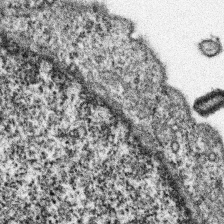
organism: Human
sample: HeLa cells